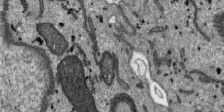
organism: Human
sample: Lung epithelial cells, uninfected (mock) control